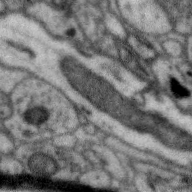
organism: Zebra finch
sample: Brain